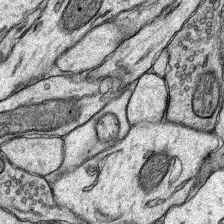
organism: Rat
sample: Hippocampus